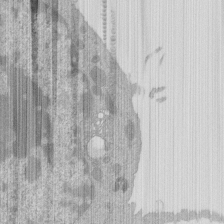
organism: Mouse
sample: Activated Pmel transgenic CD8+ T Cells